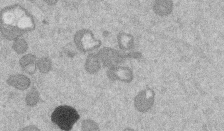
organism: Mouse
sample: Dividing mouse embryo 1 cell stage